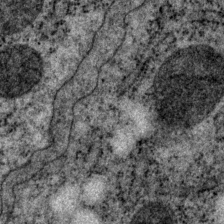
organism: P. pacificus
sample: Pharynx